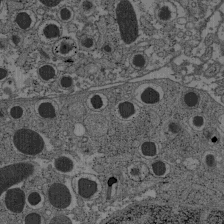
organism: C57BL Mouse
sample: Pancreatic islet